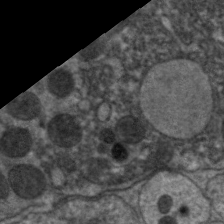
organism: C. elegans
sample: Pharynx